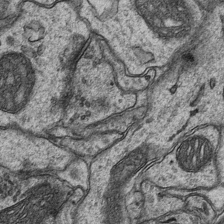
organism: Mouse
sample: CA1 Hippocampus